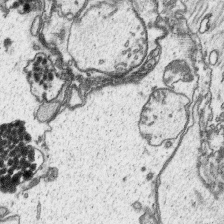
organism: Platynereis dumerilii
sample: Parapodia